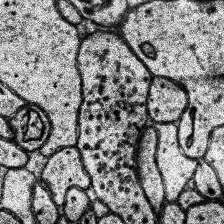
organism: Human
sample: Temporal Lobe